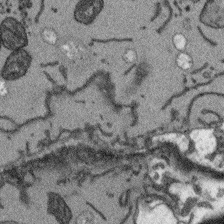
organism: Arabidopsis thaliana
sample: Root tip